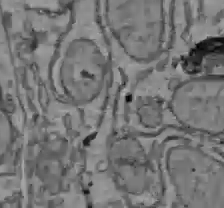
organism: C57BL Mouse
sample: Liver